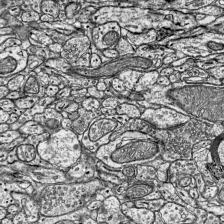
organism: Mouse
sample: Visual Cortex